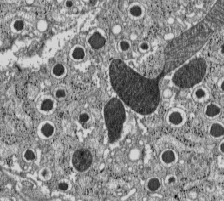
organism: C57BL Mouse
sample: Pancreatic islet